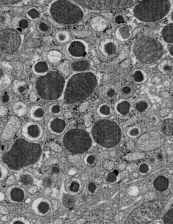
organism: C57BL Mouse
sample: Pancreatic islet